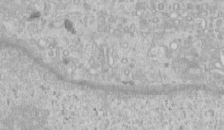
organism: Human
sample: Centriole in RPE cells